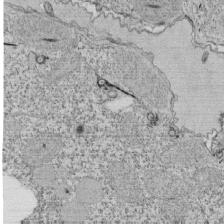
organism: Tetrahymena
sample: Cilia in tetrahymena